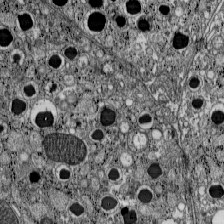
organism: C57BL Mouse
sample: Pancreatic islet